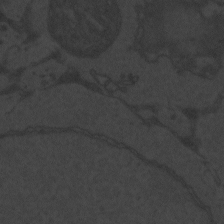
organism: Zebrafish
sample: Macrophage infected with Toxoplasma gondii